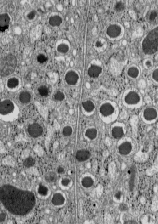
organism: C57BL Mouse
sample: Pancreatic islet